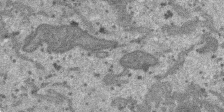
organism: Human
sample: Lung epithelial cells infected with SARS-CoV-2